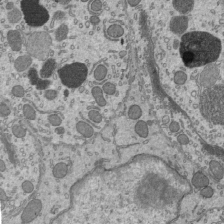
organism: Mouse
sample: Mouse epididymis efferent ductule cilia